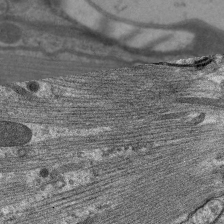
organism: C. elegans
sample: Pharynx